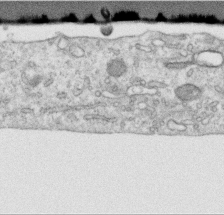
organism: Human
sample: Centriole in RPE cells